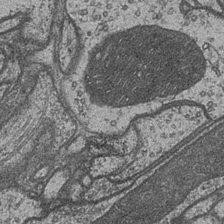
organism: Drosophila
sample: Optic medulla